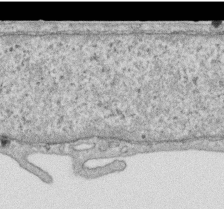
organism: Human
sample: Centriole in RPE cells